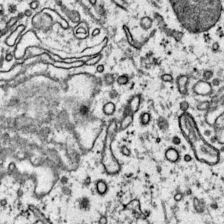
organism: Mouse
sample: Primary visual cortex